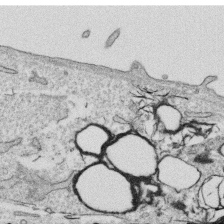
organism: Human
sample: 1205lu cells